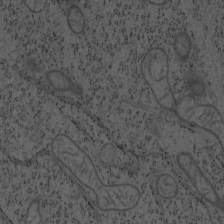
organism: Mouse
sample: OT-I killer T cells with ID8 ovarian cancer cells